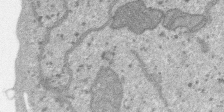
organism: Human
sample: Lung epithelial cells infected with SARS-CoV-2